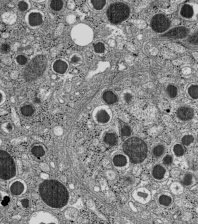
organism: C57BL Mouse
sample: Pancreatic islet